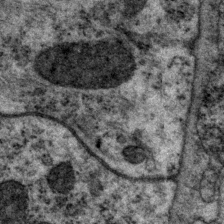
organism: P. pacificus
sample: Pharynx